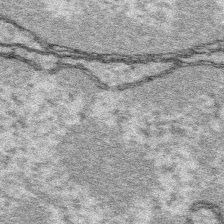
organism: Platynereis dumerilii